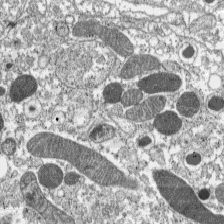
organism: C57BL Mouse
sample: Pancreatic islet